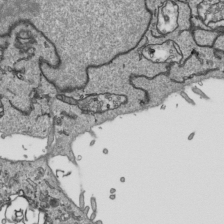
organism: Human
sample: Mitochondria in HCT116 cells